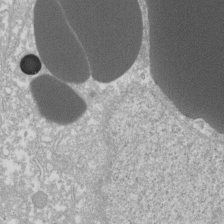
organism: Xenopus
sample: Cilia; centrioles in frog embryo cells